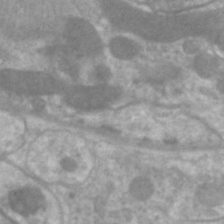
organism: C. elegans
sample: Pharynx